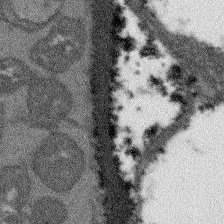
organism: Arabidopsis thaliana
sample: Root tip